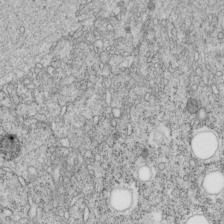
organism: C. elegans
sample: C. elegans embryo early stage